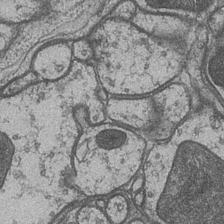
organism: Drosophila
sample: Optic medulla